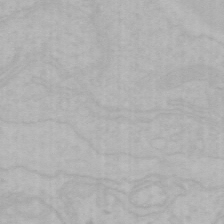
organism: Mouse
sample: Choroid plexus